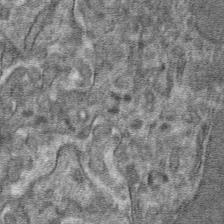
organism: Mouse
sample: Mouse hepatocytes